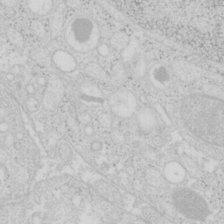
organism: Mouse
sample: Pancreas